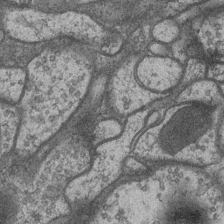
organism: Drosophila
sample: Optic medulla